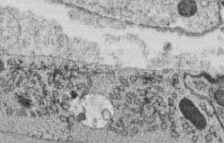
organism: C. elegans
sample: C. elegans oocyte; sperm cells